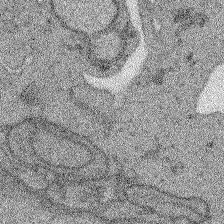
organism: Human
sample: HeLa cells